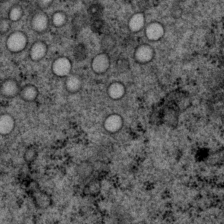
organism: P. pacificus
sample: Pharynx